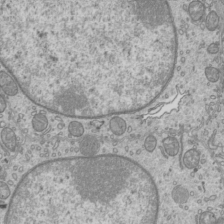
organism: Mouse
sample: Cilia; mouse epididymis